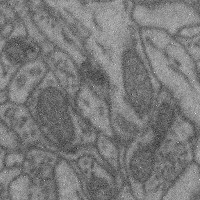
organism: Mouse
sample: Cerebral cortex